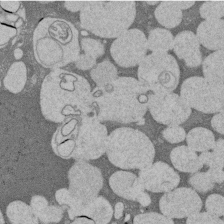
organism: Rat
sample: Salivary granule